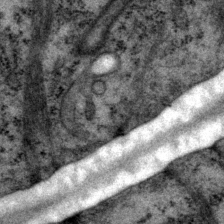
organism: P. pacificus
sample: Pharynx